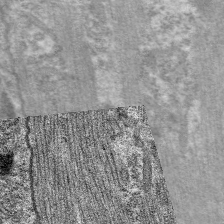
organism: C. elegans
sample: Pharynx